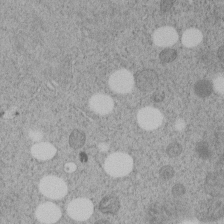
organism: C. elegans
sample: C. elegans embryo early stage